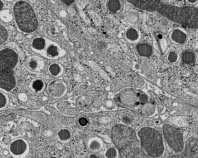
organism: C57BL Mouse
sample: Pancreatic islet